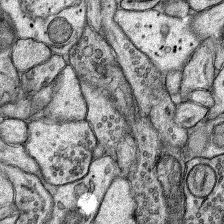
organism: Rat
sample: Hippocampus